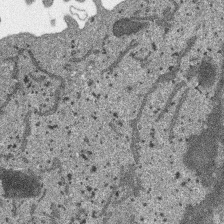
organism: Human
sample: Lung epithelial cells infected with SARS-CoV-2